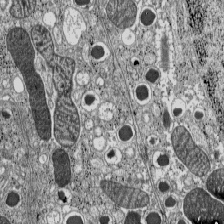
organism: C57BL Mouse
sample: Pancreatic islet